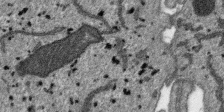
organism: Human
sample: Lung epithelial cells, uninfected (mock) control